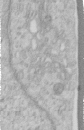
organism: Human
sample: Centriole in RPE cells